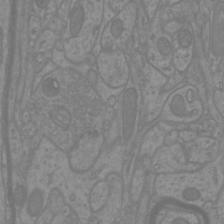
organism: Mouse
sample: Cortical neurons